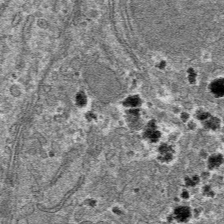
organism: Mouse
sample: Mouse hepatocytes